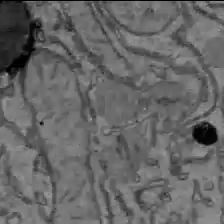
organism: C57BL Mouse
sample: Liver